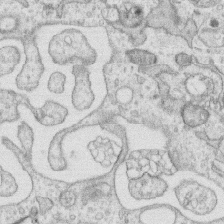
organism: Human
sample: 1205lu cells